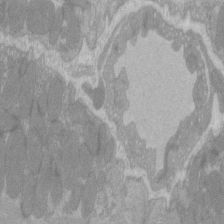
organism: C57BL Mouse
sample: Tibialis anterior muscle cell